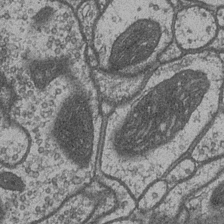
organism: Drosophila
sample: Optic medulla